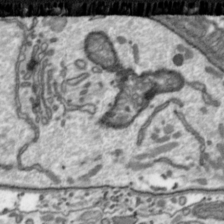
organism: Toxoplasma gondii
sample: Parasites in a vacuole inside a host cell